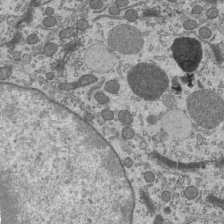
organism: Mouse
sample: Mouse epididymis efferent ductule cilia